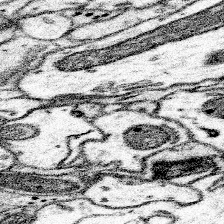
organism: Mouse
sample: Somatosensory cortex neuropil